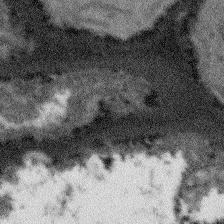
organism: Arabidopsis thaliana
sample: Root tip